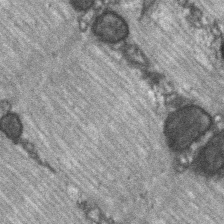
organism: C57BL Mouse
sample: Soleus